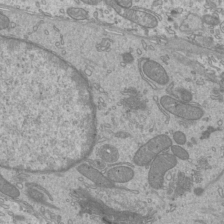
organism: Mouse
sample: Cilia; mouse epididymis